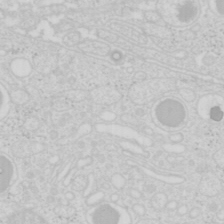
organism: Mouse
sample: Pancreas